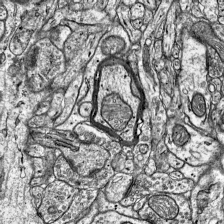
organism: Mouse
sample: Visual Cortex